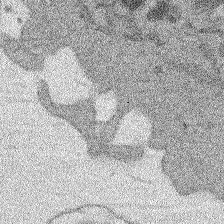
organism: Human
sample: HeLa cells